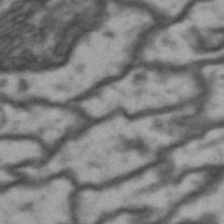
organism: Drosophila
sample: Brain